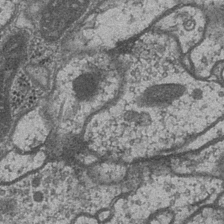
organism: Drosophila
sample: Optic medulla